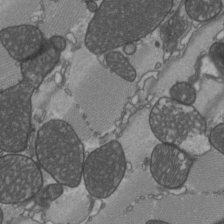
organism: C57BL Mouse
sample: Heart